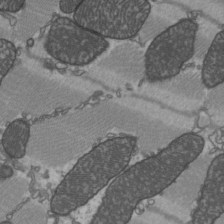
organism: C57BL Mouse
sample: Heart